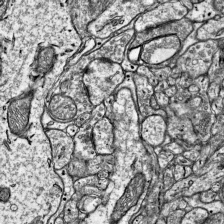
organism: Mouse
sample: Visual Cortex